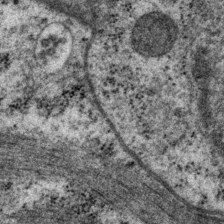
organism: P. pacificus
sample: Pharynx